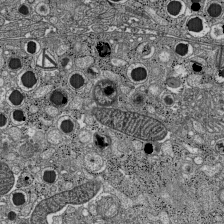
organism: C57BL Mouse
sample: Pancreatic islet